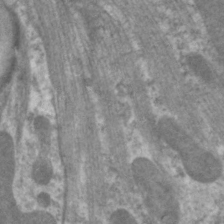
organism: C. elegans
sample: Pharynx